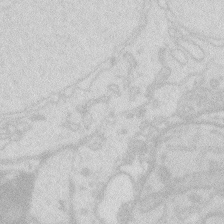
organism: Zebrafish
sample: Macrophage